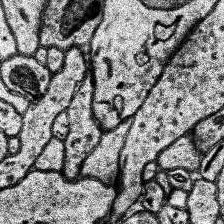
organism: Human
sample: Temporal Lobe